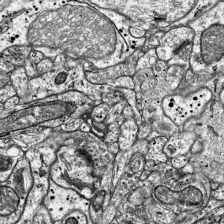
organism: Mouse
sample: Visual Cortex